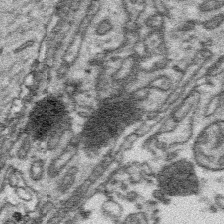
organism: Platynereis dumerilii